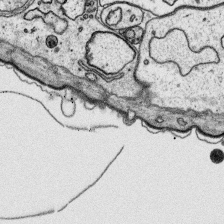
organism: Platynereis dumerilii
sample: Parapodia